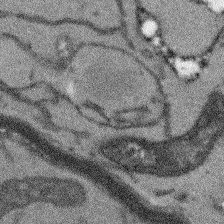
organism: Arabidopsis thaliana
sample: Root tip